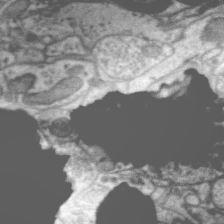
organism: Zebra finch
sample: Brain